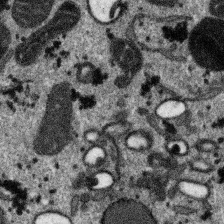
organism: Human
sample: Lung epithelial cells infected with SARS-CoV-2